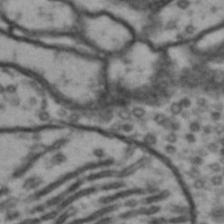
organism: Drosophila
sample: Brain